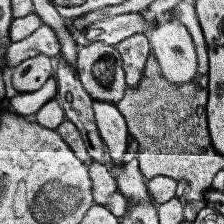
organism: Human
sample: Temporal Lobe